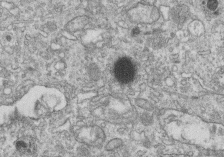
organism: Human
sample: HeLa cell HIV synapse